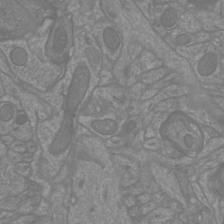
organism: Mouse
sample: Cortical neurons